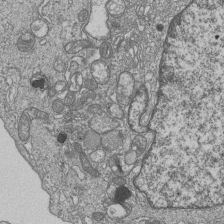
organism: Human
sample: MDA-MB-231 cells